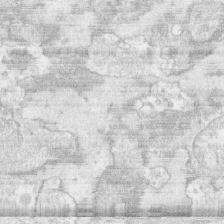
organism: Human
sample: CRL-1474